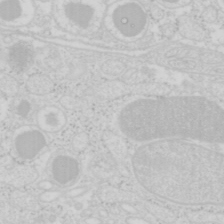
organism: Mouse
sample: Pancreas